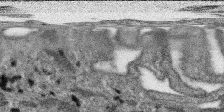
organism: Human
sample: Lung epithelial cells infected with SARS-CoV-2